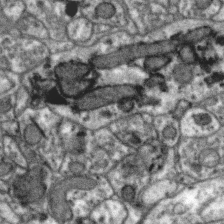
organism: Zebra finch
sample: Brain